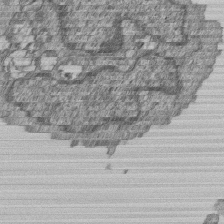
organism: Human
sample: MDA-MB-231 cells